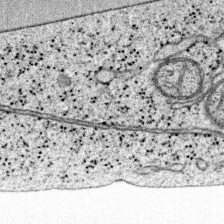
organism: Human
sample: HeLa cells